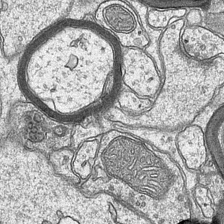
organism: Mouse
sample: CA1 Hippocampus